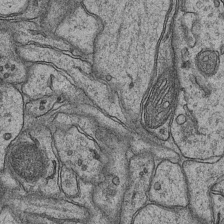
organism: Mouse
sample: CA1 Hippocampus